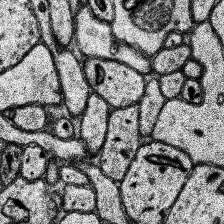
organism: Human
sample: Temporal Lobe